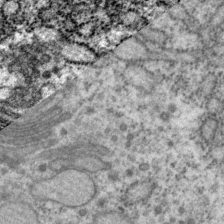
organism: P. pacificus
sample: Pharynx